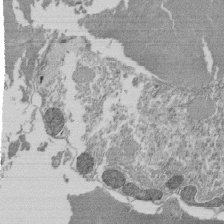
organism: Tetrahymena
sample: Cilia in tetrahymena